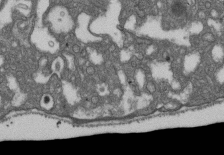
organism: Drosophila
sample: Nephrocyte